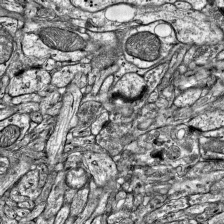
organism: Mouse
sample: Visual Cortex